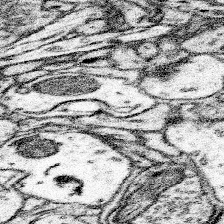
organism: Mouse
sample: Somatosensory cortex neuropil